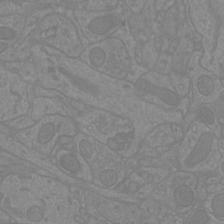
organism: Mouse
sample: Cortical neurons